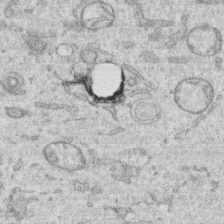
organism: Human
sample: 1205lu cells